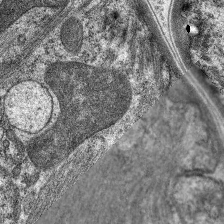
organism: C. elegans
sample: Pharynx